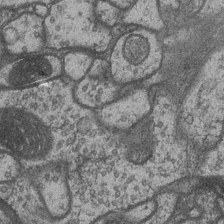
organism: Drosophila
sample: Optic medulla